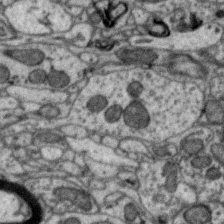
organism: Zebra finch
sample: Brain